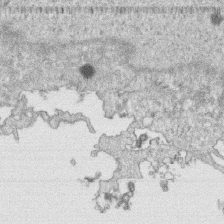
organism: Human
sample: HeLa cell HIV synapse